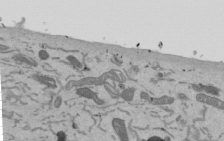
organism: Mouse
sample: ED-1 cell nuclei; centrioles